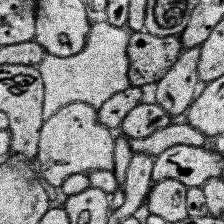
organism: Human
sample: Temporal Lobe